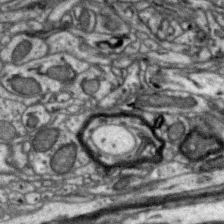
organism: Zebra finch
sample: Brain